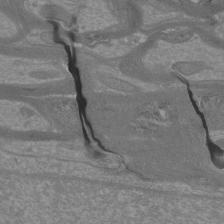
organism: Mouse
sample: Cortical neurons